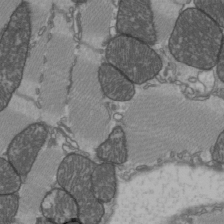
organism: C57BL Mouse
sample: Heart